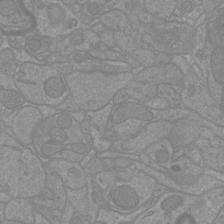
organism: Mouse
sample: Cortical neurons